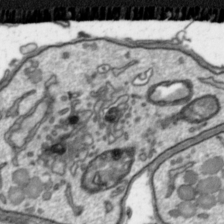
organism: Toxoplasma gondii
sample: Parasites in a vacuole inside a host cell